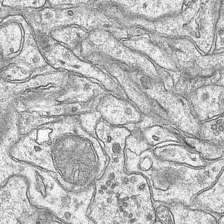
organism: Mouse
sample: CA1 Hippocampus